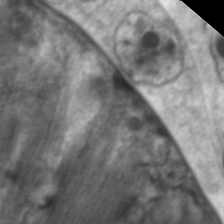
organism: C. elegans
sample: Pharynx